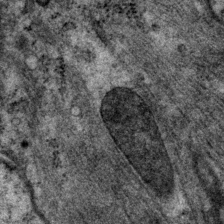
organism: P. pacificus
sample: Pharynx